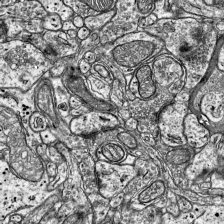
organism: Mouse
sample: Visual Cortex